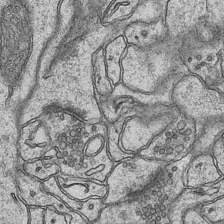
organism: Mouse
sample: CA1 Hippocampus